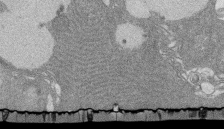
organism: Rat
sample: Salivary granule